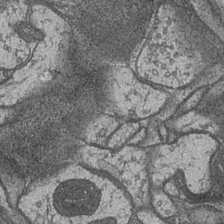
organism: Drosophila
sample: Optic medulla